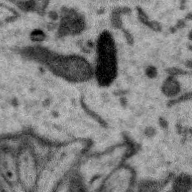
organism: Zebra finch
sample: Brain